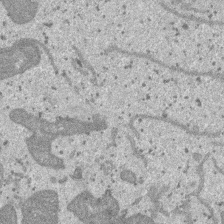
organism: Human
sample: Lung epithelial cells infected with SARS-CoV-2